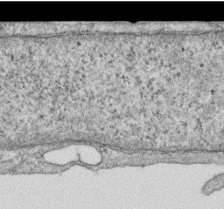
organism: Human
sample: Centriole in RPE cells